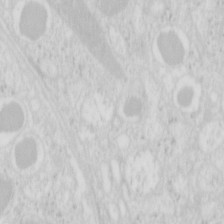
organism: Mouse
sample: Pancreas